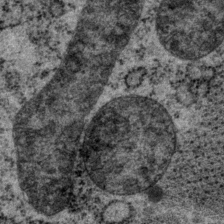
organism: P. pacificus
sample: Pharynx